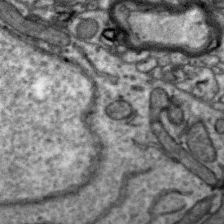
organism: Zebra finch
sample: Brain